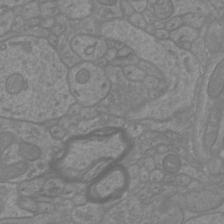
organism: Mouse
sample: Cortical neurons